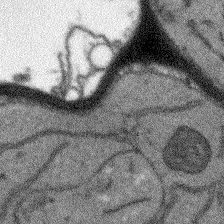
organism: Arabidopsis thaliana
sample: Root tip